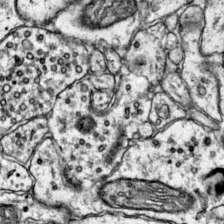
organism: Mouse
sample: Primary visual cortex